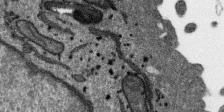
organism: Human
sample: Lung epithelial cells, uninfected (mock) control